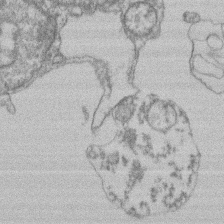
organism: Mouse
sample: T cell stromal cell synapse